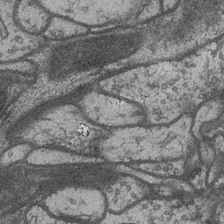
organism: Drosophila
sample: Optic medulla